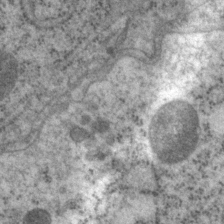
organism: P. pacificus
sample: Pharynx